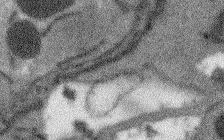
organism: Arabidopsis thaliana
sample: Root tip